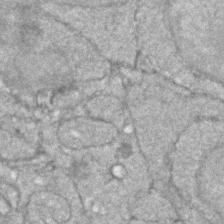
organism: Zebrafish